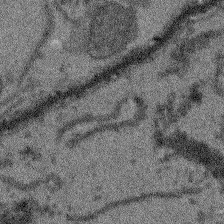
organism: Arabidopsis thaliana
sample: Root tip